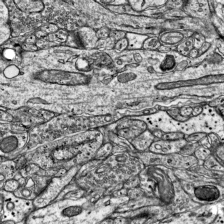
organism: Mouse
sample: Visual Cortex